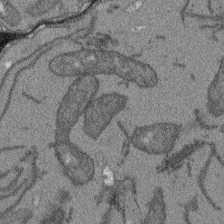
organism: Arabidopsis thaliana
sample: Root tip